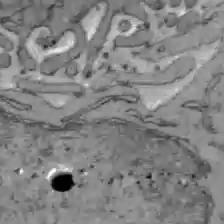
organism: C57BL Mouse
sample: Liver